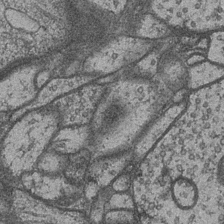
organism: Drosophila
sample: Optic medulla